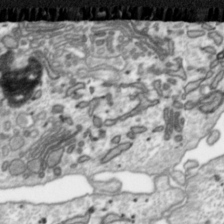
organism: Toxoplasma gondii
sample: Parasites in a vacuole inside a host cell